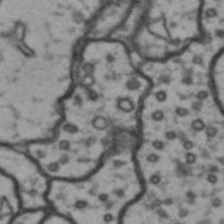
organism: Drosophila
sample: Brain